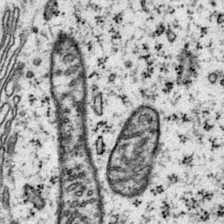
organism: Mouse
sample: Primary visual cortex